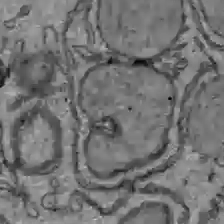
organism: C57BL Mouse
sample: Liver